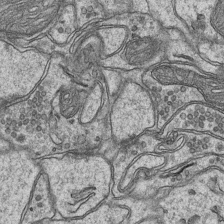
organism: Mouse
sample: CA1 Hippocampus